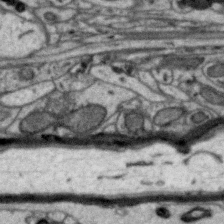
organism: Zebra finch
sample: Brain